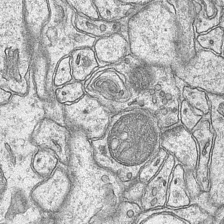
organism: Mouse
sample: CA1 Hippocampus